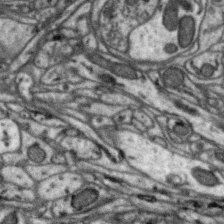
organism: Zebra finch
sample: Brain